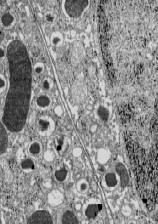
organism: C57BL Mouse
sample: Pancreatic islet